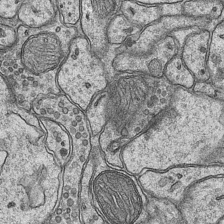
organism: Mouse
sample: CA1 Hippocampus